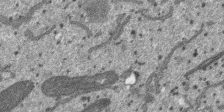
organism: Human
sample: Lung epithelial cells infected with SARS-CoV-2